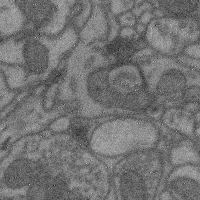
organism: Mouse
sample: Cerebral cortex